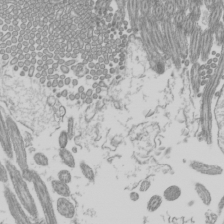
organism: Mouse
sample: Cilia; mouse epididymis